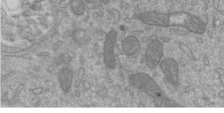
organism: Mouse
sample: ED-1 cell nuclei; centrioles